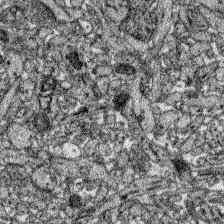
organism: Zebrafish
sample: Larval olfactory bulb